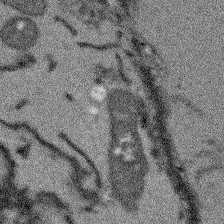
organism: Arabidopsis thaliana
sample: Root tip